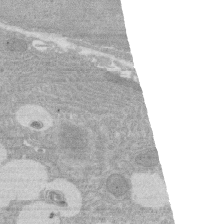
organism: Rat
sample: Salivary granule